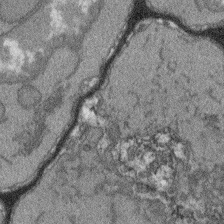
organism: Arabidopsis thaliana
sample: Root tip